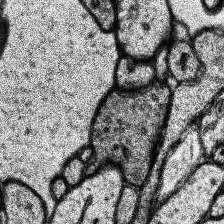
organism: Human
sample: Temporal Lobe